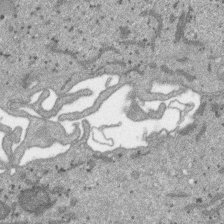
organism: Human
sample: Lung epithelial cells infected with SARS-CoV-2